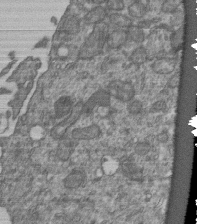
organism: Human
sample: Retinal organoid Rod and Cone cells